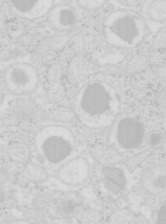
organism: Mouse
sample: Pancreas